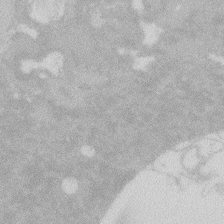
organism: Zebrafish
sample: Macrophage